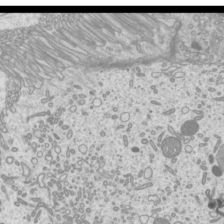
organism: Mouse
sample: Cilia; mouse epididymis